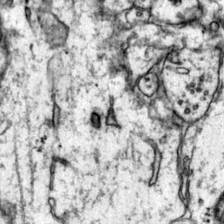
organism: Mouse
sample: Primary visual cortex